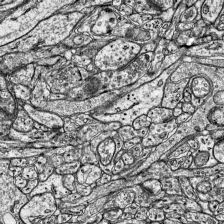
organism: Mouse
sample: Visual Cortex